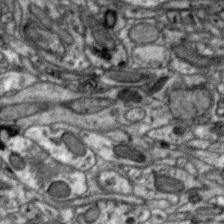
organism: Zebra finch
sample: Brain